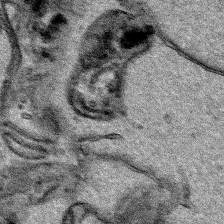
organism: Human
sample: Mitochondria in HCT116 cells